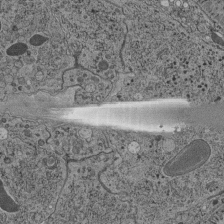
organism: C. elegans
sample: C. elegans pharynx